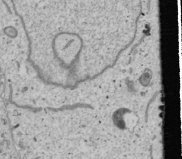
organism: Human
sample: Mitochondria in U2OS cells